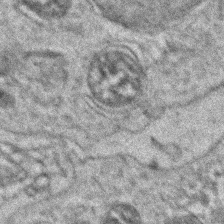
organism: Zebrafish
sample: Zebrafish embryo